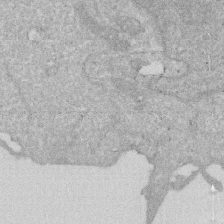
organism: Human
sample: HIV infected U937 cells